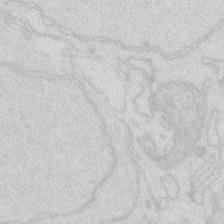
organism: Zebrafish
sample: Macrophage